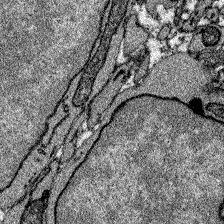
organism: Zebrafish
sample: Larval olfactory bulb